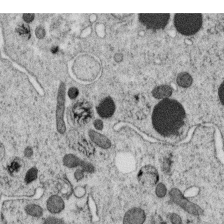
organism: C. elegans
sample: C. elegans oocyte; sperm cells